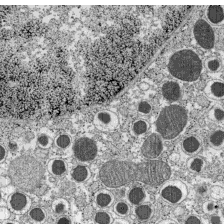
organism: C57BL Mouse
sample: Pancreatic islet